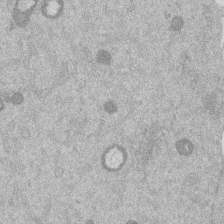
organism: Mouse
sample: Dividing mouse embryo 1 cell stage